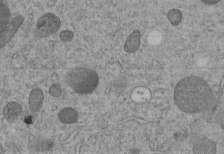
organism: C. elegans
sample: C. elegans embryo early stage